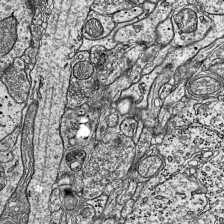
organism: Mouse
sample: Visual Cortex